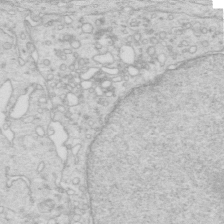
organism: Mouse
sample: Multiciliated cells